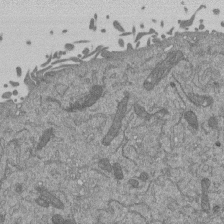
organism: Mouse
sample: ED-1 cell nuclei; centrioles